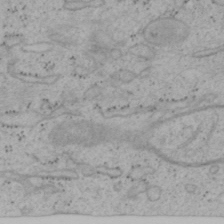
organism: Human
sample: HeLa cells